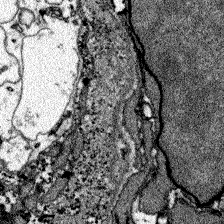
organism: Zebrafish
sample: Larval olfactory bulb